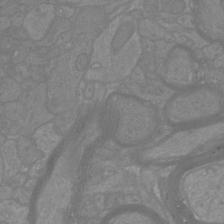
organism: Mouse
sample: Cortical neurons